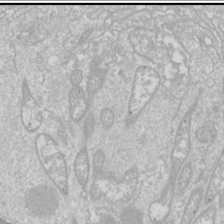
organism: Drosophila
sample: Cell division; meiosis; drosophila spermatocytes